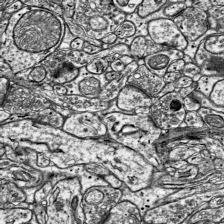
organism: Mouse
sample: Visual Cortex